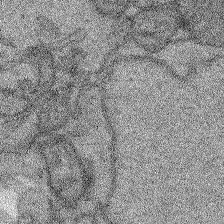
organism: Human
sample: HeLa cells